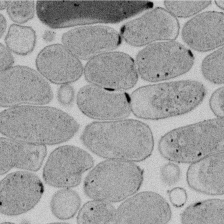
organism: E. coli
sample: Bacterial nucleoid